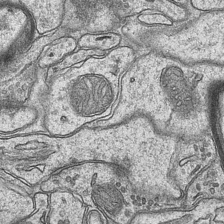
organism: Mouse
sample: CA1 Hippocampus